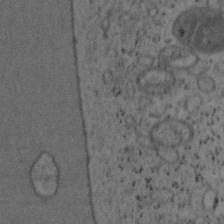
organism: Human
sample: HeLa cells